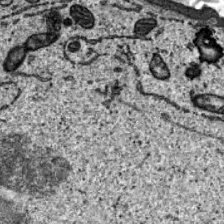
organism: Human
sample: HeLa cells